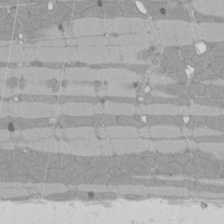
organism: Rat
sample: Left ventricle